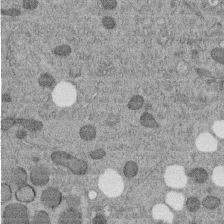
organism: C. elegans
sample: C. elegans embryo early stage